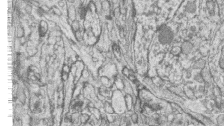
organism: Zebrafish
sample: synaptic ribbons in rod cells and cone cells